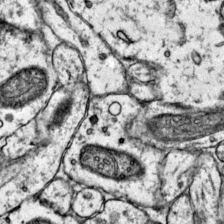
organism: Mouse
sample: Primary visual cortex